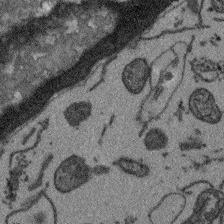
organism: Arabidopsis thaliana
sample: Root tip